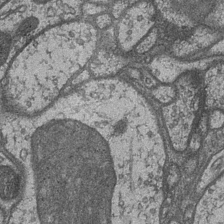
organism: Drosophila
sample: Optic medulla